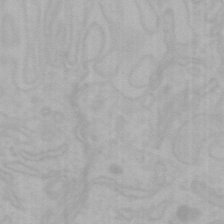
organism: Mouse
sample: Choroid plexus